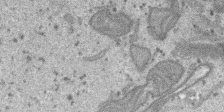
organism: Human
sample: Lung epithelial cells infected with SARS-CoV-2